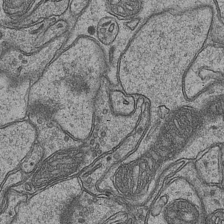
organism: Mouse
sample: CA1 Hippocampus